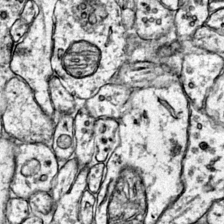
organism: Mouse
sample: Primary visual cortex